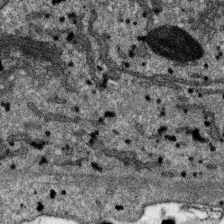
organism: Human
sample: Lung epithelial cells infected with SARS-CoV-2